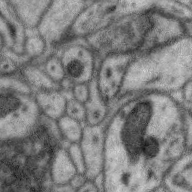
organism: Zebra finch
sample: Brain